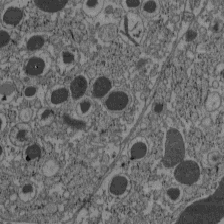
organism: C57BL Mouse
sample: Pancreatic islet